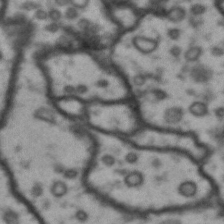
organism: Drosophila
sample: Brain